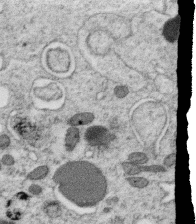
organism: C. elegans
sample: C. elegans oocyte; sperm cells